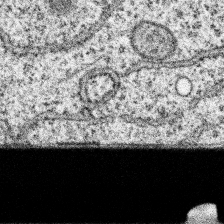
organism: Human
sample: HeLa cells